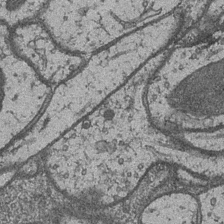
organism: Drosophila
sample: Optic medulla